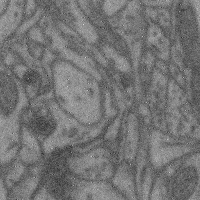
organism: Mouse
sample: Cerebral cortex